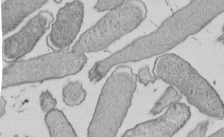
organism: E. coli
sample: Bacterial nucleoid